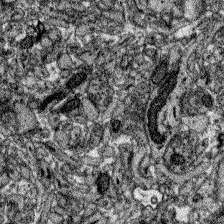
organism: Zebrafish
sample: Larval olfactory bulb